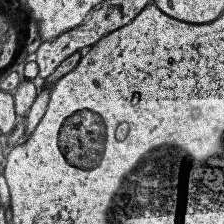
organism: Human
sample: Temporal Lobe